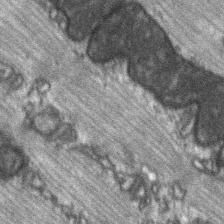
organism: C57BL Mouse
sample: Soleus